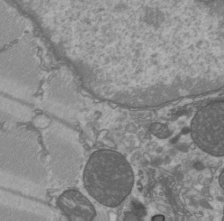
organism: C57BL Mouse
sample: Heart